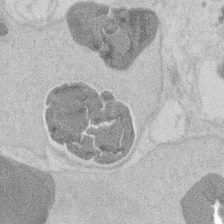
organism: Mouse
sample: T cell stromal cell synapse